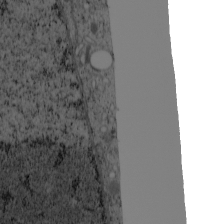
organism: African green monkey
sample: COS-7 cells